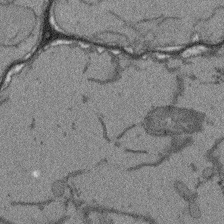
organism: Arabidopsis thaliana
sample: Root tip